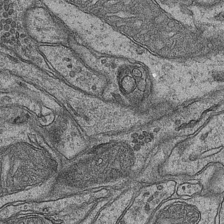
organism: Mouse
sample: CA1 Hippocampus